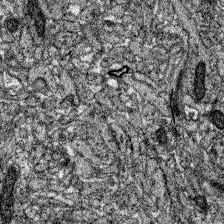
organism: Zebrafish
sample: Larval olfactory bulb